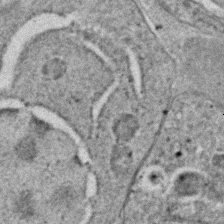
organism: C. elegans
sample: C. elegans embryo